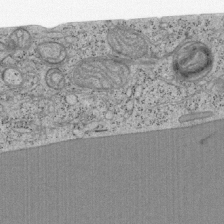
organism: Human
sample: HeLa cells